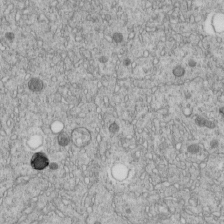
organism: C. elegans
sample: C. elegans embryo early stage